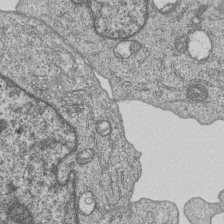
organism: Human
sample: MDA-MB-231 cells